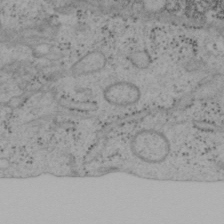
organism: Human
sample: HeLa cells